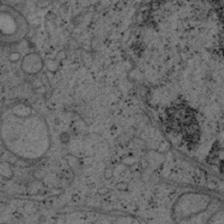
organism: Human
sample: HeLa cells